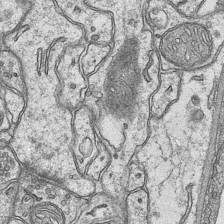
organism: Mouse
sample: CA1 Hippocampus